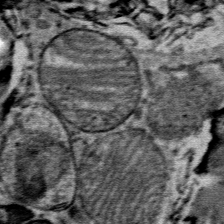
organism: Mouse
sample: Mouse Salivary gland